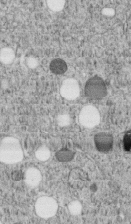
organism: C. elegans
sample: C. elegans embryo early stage